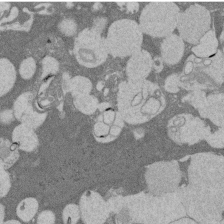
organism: Rat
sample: Salivary granule